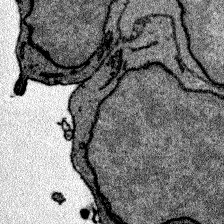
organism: Zebrafish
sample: Larval olfactory bulb